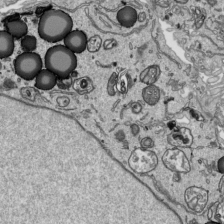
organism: Human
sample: Mitochondria in HCT116 cells